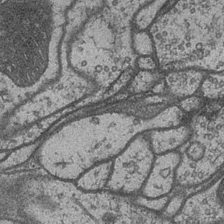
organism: Drosophila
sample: Optic medulla